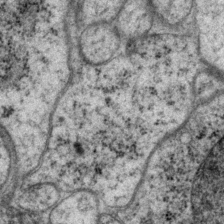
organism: P. pacificus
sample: Pharynx